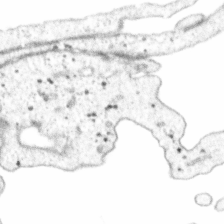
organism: Human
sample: HeLa cells